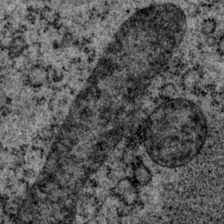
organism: P. pacificus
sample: Pharynx